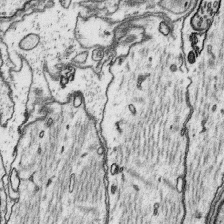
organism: Platynereis dumerilii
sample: Parapodia